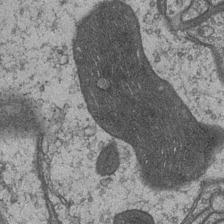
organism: Drosophila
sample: Optic medulla